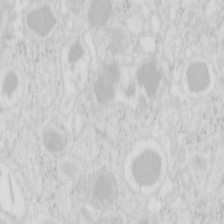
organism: Mouse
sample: Pancreas